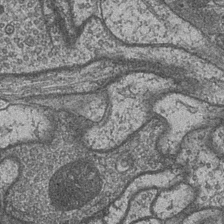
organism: Drosophila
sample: Optic medulla